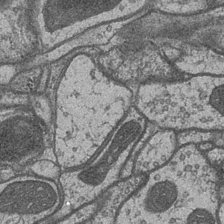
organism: Drosophila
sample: Optic medulla